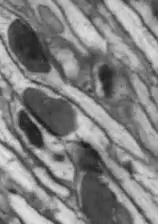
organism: Drosophila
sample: Optic lobe